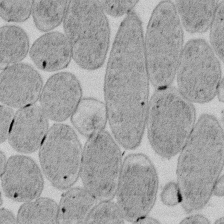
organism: E. coli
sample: Bacterial nucleoid